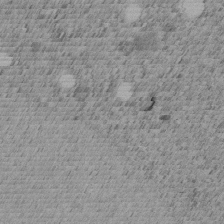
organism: C. elegans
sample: C. elegans embryo early stage